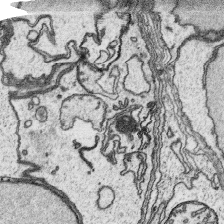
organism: Platynereis dumerilii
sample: Parapodia